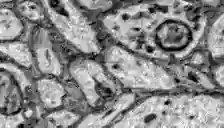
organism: Zebrafish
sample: Brain